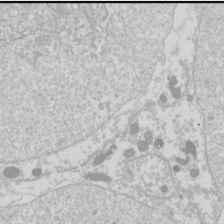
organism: Drosophila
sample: Cell division; meiosis; drosophila spermatocytes